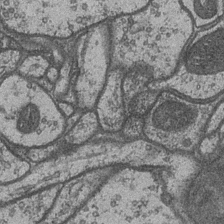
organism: Drosophila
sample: Optic medulla